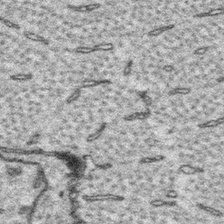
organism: Platynereis dumerilii